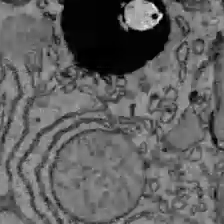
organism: C57BL Mouse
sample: Liver